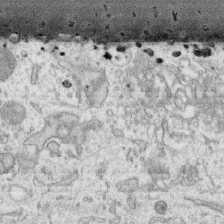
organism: Human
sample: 1205lu cells